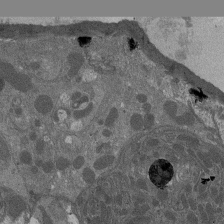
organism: Drosophila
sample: Antenna